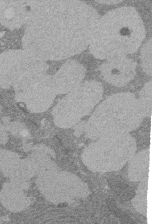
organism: Rat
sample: Salivary granule